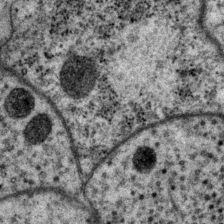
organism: P. pacificus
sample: Pharynx